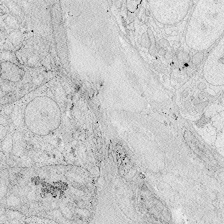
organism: Zebrafish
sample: Whole-Brain